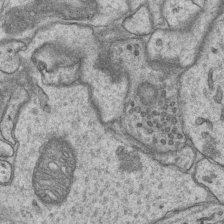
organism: Mouse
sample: CA1 Hippocampus